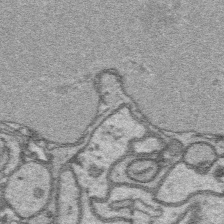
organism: Platynereis dumerilii